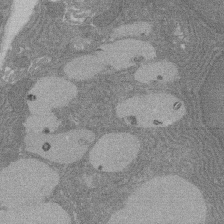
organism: Rat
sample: Salivary granule